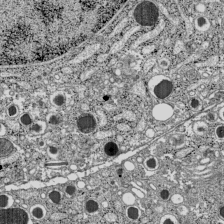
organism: C57BL Mouse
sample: Pancreatic islet